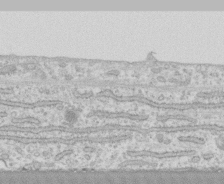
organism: Human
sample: CRL-1474